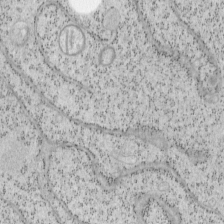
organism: Mouse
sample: OT-I killer T cells with ID8 ovarian cancer cells